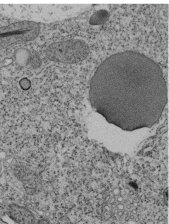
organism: Tetrahymena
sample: Cilia in tetrahymena